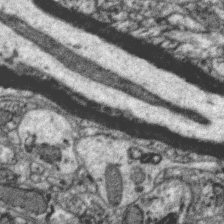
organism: Zebra finch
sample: Brain